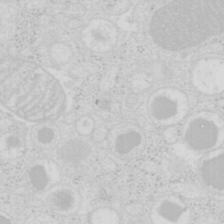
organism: Mouse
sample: Pancreas